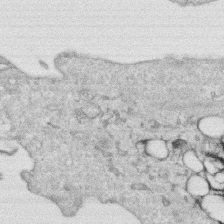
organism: Human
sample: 1205lu cells